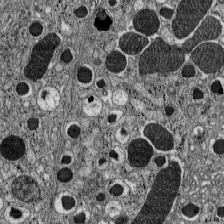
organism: C57BL Mouse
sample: Pancreatic islet